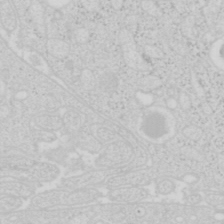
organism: Mouse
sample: Pancreas